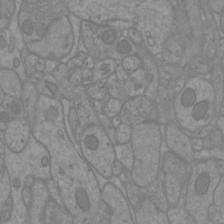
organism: Mouse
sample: Cortical neurons